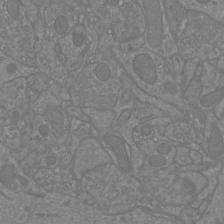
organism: Mouse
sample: Cortical neurons